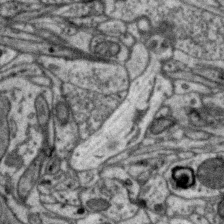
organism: Zebra finch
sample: Brain